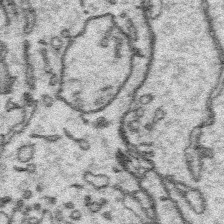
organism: Platynereis dumerilii